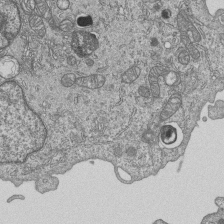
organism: Human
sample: MDA-MB-231 cells